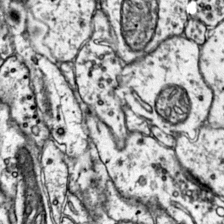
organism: Mouse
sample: Primary visual cortex